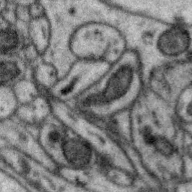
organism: Zebra finch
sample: Brain